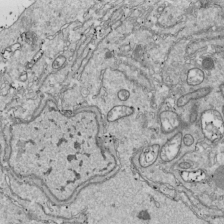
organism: Drosophila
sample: Cell division; meiosis; drosophila spermatocytes